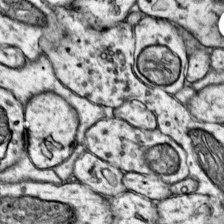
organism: Mouse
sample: Primary visual cortex